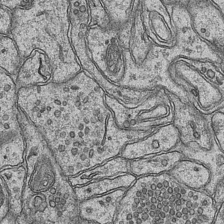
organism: Mouse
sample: CA1 Hippocampus